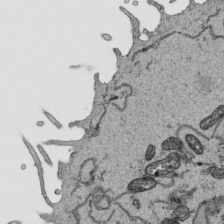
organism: Human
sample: Mitochondria in HCT116 cells